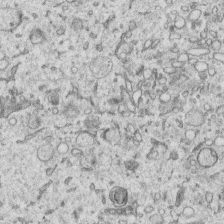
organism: Human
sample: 1205lu cells